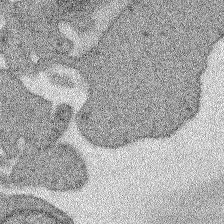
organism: Human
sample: HeLa cells